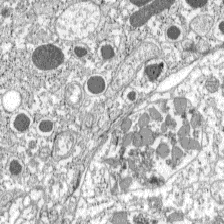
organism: C57BL Mouse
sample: Pancreatic islet